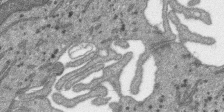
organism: Human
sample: Lung epithelial cells infected with SARS-CoV-2